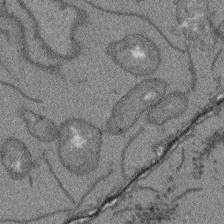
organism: Arabidopsis thaliana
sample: Root tip